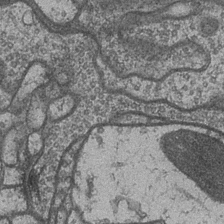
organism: Drosophila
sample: Optic medulla